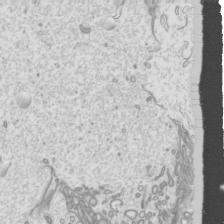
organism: Mouse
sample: Cilia; mouse epididymis